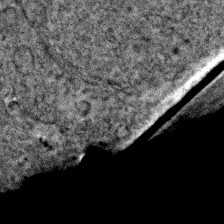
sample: Trachea